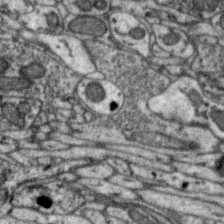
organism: Zebra finch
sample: Brain